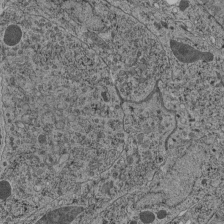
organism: C. elegans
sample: C. elegans pharynx